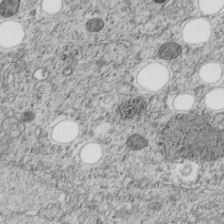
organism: C. elegans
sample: C. elegans embryo early stage